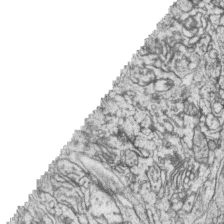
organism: Zebrafish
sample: synaptic ribbons in rod cells and cone cells